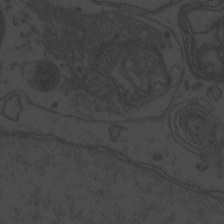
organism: Zebrafish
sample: Macrophage infected with Toxoplasma gondii